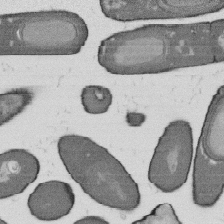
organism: B. subtilis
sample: Bacterial spore